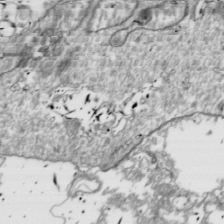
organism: Drosophila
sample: Cell division; meiosis; drosophila spermatocytes